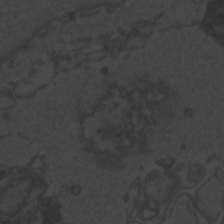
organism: Zebrafish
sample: Macrophage infected with Toxoplasma gondii